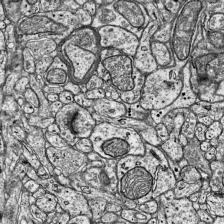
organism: Mouse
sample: Visual Cortex